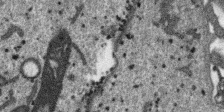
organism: Human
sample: Lung epithelial cells infected with SARS-CoV-2